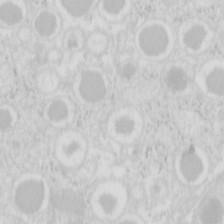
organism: Mouse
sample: Pancreas